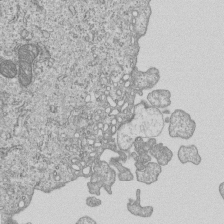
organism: Human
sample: MDA-MB-231 cells